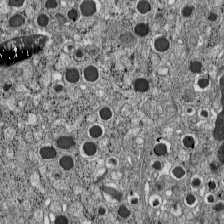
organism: C57BL Mouse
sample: Pancreatic islet